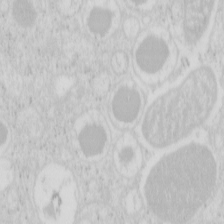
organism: Mouse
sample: Pancreas